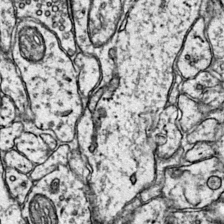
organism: Mouse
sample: Primary visual cortex